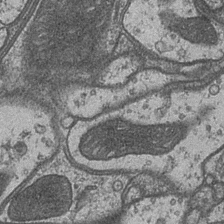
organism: Drosophila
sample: Optic medulla